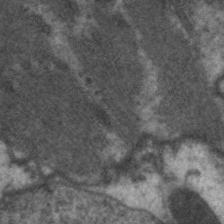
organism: C. elegans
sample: Pharynx